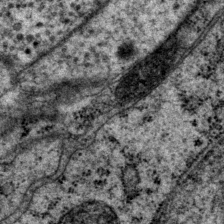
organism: P. pacificus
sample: Pharynx